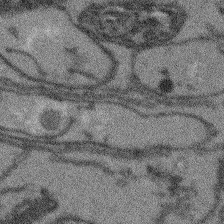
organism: Arabidopsis thaliana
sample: Root tip